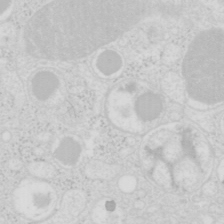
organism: Mouse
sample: Pancreas